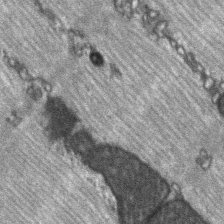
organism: C57BL Mouse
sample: Soleus